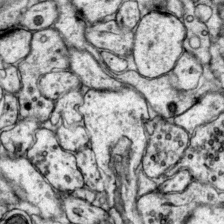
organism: Mouse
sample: Primary visual cortex